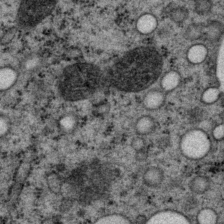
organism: P. pacificus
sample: Pharynx